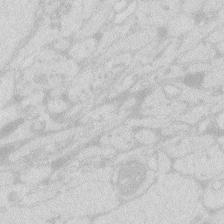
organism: Zebrafish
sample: Macrophage